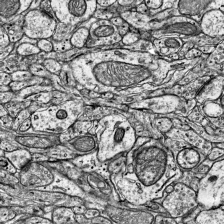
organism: Mouse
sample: Visual Cortex